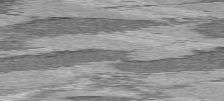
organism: C57BL Mouse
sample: Heart